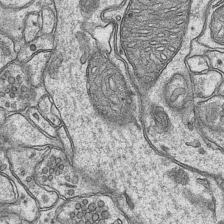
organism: Mouse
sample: CA1 Hippocampus